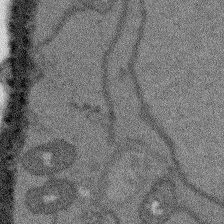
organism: Arabidopsis thaliana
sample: Root tip